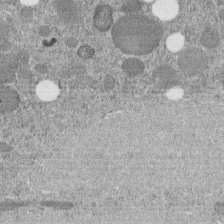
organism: C. elegans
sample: C. elegans embryo early stage